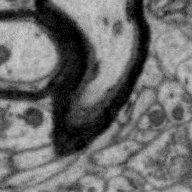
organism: Zebra finch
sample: Brain